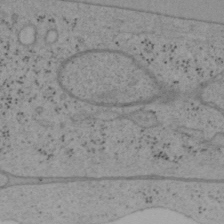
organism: Human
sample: HeLa cells